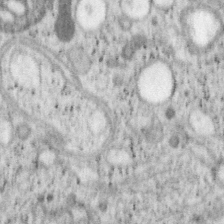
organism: Mouse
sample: OT-I killer T cells with ID8 ovarian cancer cells